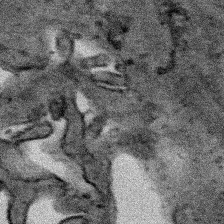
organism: Human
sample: Mitochondria in HCT116 cells